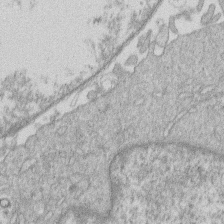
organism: Human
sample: Macrophage cells